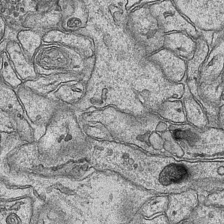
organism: Mouse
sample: CA1 Hippocampus